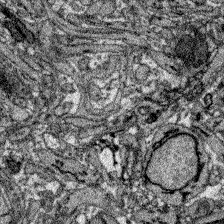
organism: Zebrafish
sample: Larval olfactory bulb